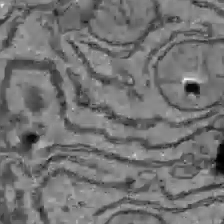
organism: C57BL Mouse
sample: Liver